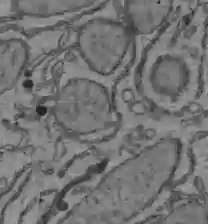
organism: C57BL Mouse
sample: Liver